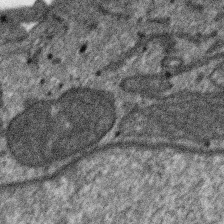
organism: Human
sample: Lung epithelial cells infected with SARS-CoV-2